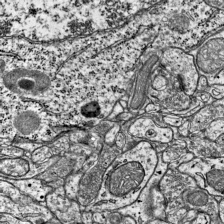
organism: Mouse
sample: Visual Cortex